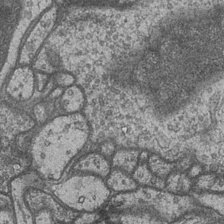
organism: Drosophila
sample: Optic medulla